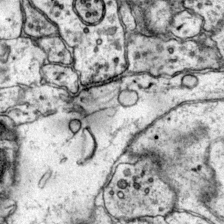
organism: Mouse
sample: Primary visual cortex